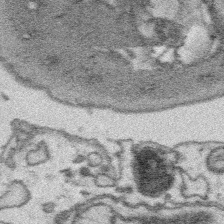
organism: Platynereis dumerilii